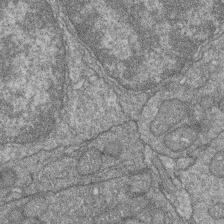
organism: Zebrafish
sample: Cilia; retinal pigment epithelium